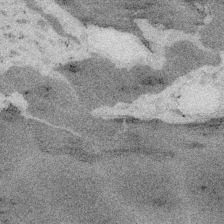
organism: Embia sp.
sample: Silk gland